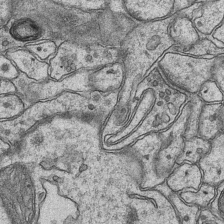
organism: Mouse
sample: CA1 Hippocampus